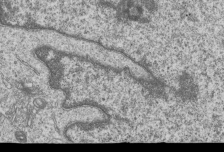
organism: Human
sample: MDA-MB-231 cells